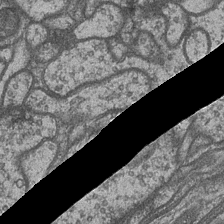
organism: Drosophila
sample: Optic medulla